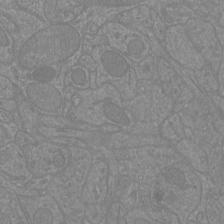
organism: Mouse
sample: Cortical neurons